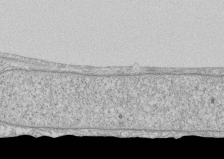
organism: Human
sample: CRL-1474